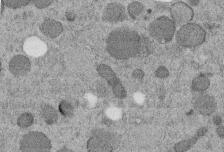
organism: C. elegans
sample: C. elegans embryo early stage